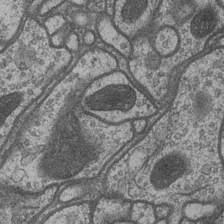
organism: Drosophila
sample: Optic medulla